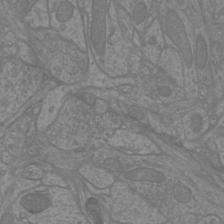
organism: Mouse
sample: Cortical neurons